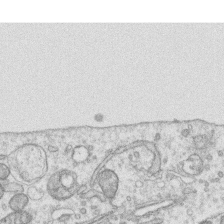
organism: Human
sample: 1205lu cells